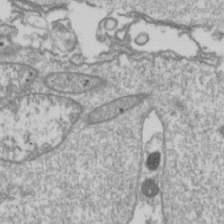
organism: Drosophila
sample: Cell division; meiosis; drosophila spermatocytes